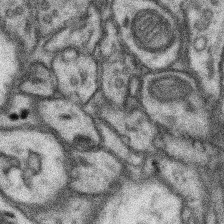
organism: Mouse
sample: Somatosensory cortex neuropil